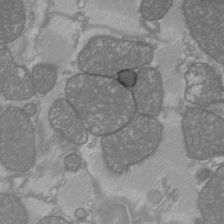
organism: C57BL Mouse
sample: Heart